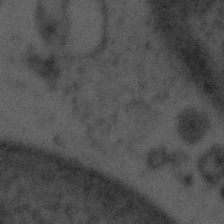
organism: Tuwongella immobilis